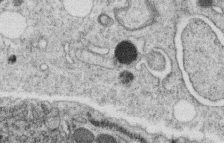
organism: C. elegans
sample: C. elegans oocyte; sperm cells